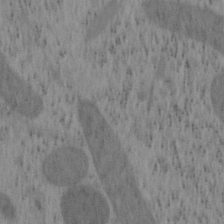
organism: Mouse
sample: OT-I killer T cells with ID8 ovarian cancer cells